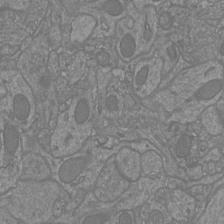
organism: Mouse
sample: Cortical neurons